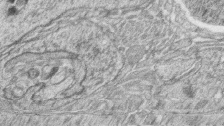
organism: Zebrafish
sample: synaptic ribbons in rod cells and cone cells